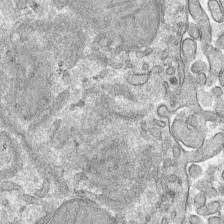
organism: Mouse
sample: Mouse hepatocytes